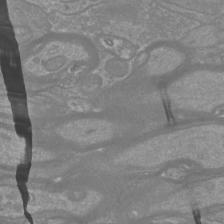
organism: Mouse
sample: Cortical neurons